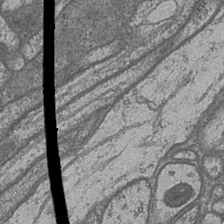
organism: Drosophila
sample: Optic medulla